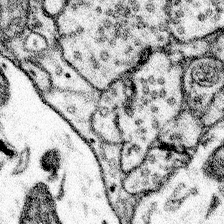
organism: Mouse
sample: Somatosensory cortex neuropil